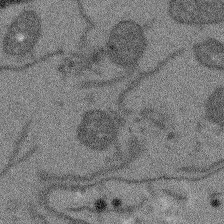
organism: Arabidopsis thaliana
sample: Root tip